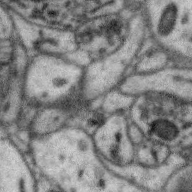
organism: Zebra finch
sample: Brain